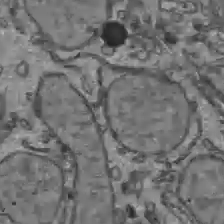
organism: C57BL Mouse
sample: Liver